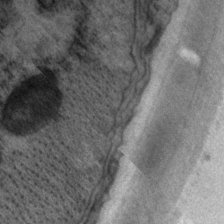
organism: P. pacificus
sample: Pharynx